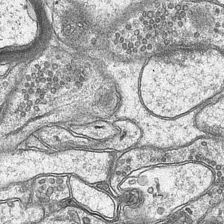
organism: Mouse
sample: CA1 Hippocampus